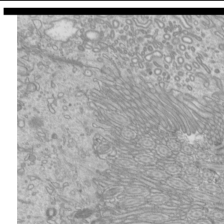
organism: Mouse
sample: Cilia; mouse epididymis